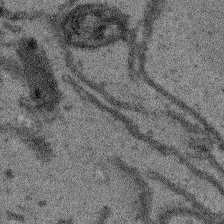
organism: Arabidopsis thaliana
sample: Root tip